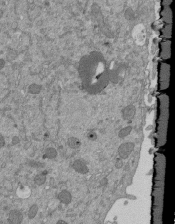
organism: Mouse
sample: ED-1 cell nuclei; centrioles